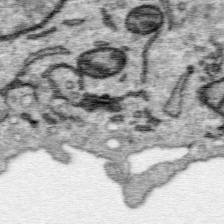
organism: Human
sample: HeLa cells